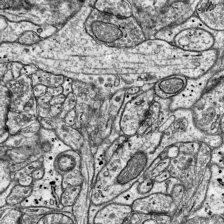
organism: Mouse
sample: Visual Cortex